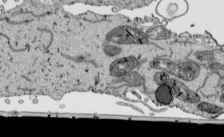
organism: Human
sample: Mitochondria in HCT116 cells